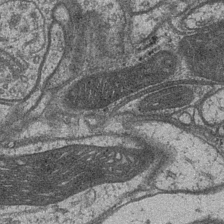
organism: Drosophila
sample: Optic medulla